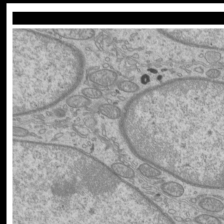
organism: Mouse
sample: Cilia; mouse epididymis